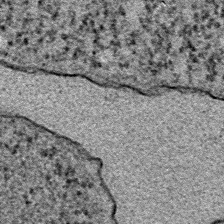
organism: E. coli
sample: E. Coli Bacteria